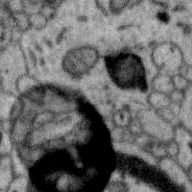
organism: Zebra finch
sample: Brain